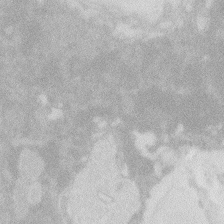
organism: Zebrafish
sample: Macrophage